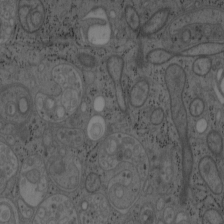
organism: Mouse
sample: OT-I killer T cells with ID8 ovarian cancer cells